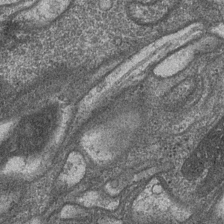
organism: Drosophila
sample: Optic medulla